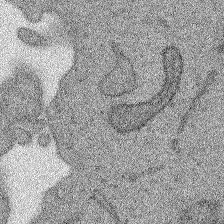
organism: Human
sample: HeLa cells